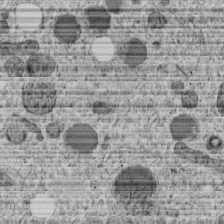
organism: C. elegans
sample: C. elegans embryo early stage